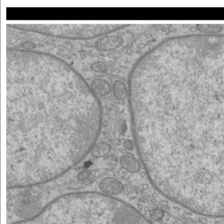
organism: Mouse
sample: Cilia; mouse epididymis